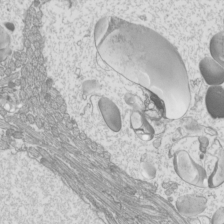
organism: Mouse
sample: Cilia; mouse epididymis